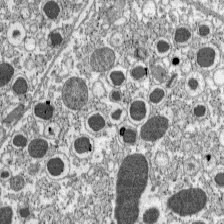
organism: C57BL Mouse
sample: Pancreatic islet